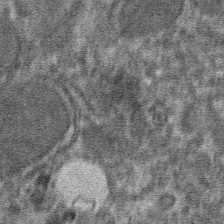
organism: Mouse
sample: Mouse hepatocytes